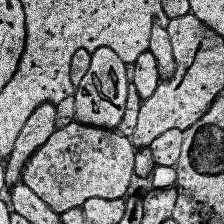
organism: Human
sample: Temporal Lobe